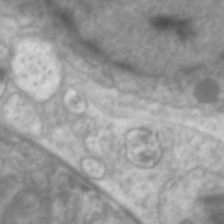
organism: C. elegans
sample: Pharynx